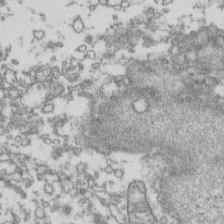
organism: Human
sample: Activated Jurkat CD4+ T cells